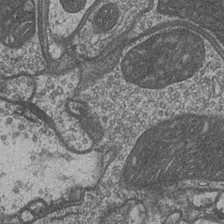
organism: Drosophila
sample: Optic medulla